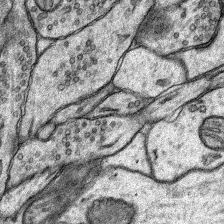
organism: Rat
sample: Hippocampus